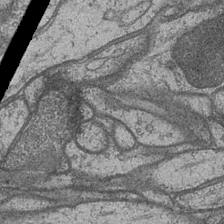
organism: Drosophila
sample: Optic medulla